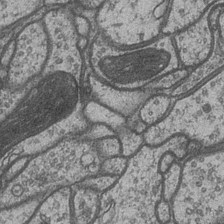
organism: Drosophila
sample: Optic medulla